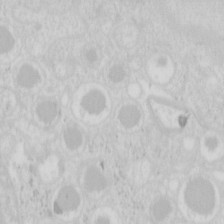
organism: Mouse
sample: Pancreas